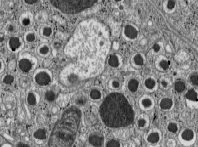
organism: C57BL Mouse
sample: Pancreatic islet